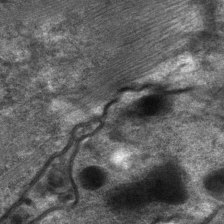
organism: C. elegans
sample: Pharynx